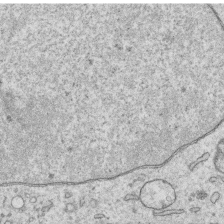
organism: Human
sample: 1205lu cells